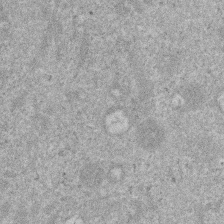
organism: Mouse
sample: Dividing mouse embryo 1 cell stage